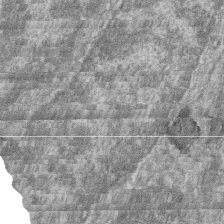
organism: Zebrafish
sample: Cilia; retinal pigment epithelium